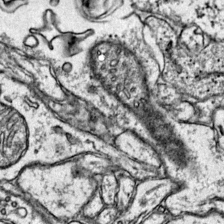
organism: Mouse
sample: Primary visual cortex